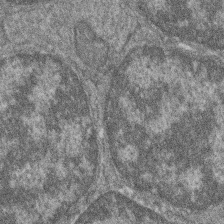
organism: Zebrafish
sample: Cilia; retinal pigment epithelium